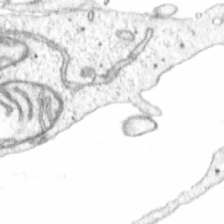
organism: Human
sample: HeLa cells